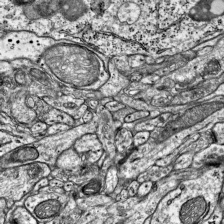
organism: Mouse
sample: Visual Cortex